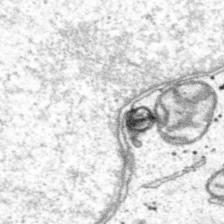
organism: Human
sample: HeLa cells